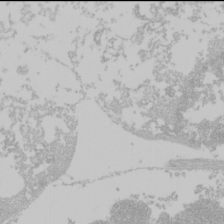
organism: Mouse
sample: Cancer cell death in ED-1 cells